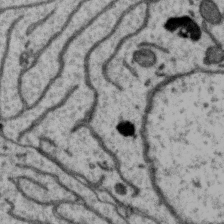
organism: Zebra finch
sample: Brain